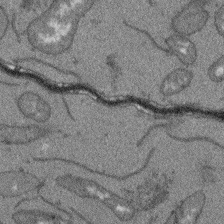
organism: Arabidopsis thaliana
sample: Root tip